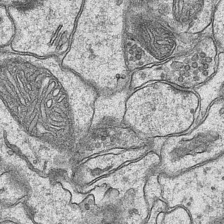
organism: Mouse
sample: CA1 Hippocampus